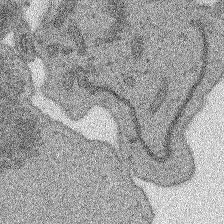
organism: Human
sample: HeLa cells